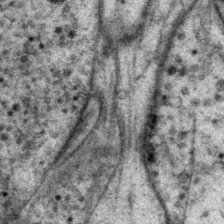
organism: P. pacificus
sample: Pharynx